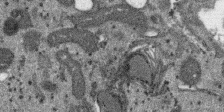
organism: Human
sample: Lung epithelial cells infected with SARS-CoV-2